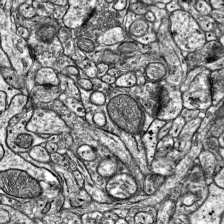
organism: Mouse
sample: Visual Cortex